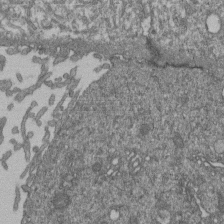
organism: Human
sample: Retinal organoid Rod and Cone cells